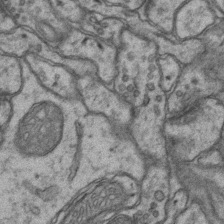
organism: Mouse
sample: CA1 Hippocampus